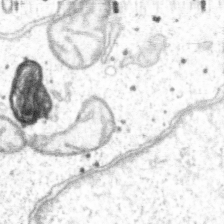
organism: Human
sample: HeLa cells